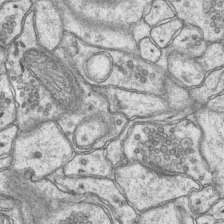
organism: Mouse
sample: CA1 Hippocampus